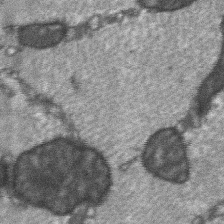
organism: C57BL Mouse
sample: Soleus